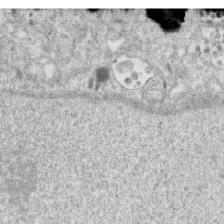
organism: Human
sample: HeLa cell HIV synapse